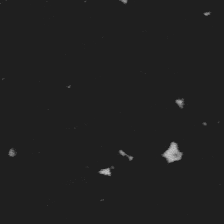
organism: Platynereis dumerilii